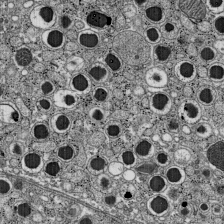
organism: C57BL Mouse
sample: Pancreatic islet